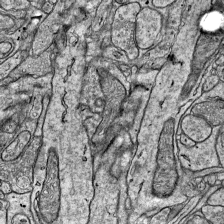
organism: Mouse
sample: Visual Cortex